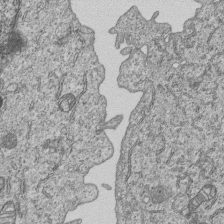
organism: Human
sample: MDA-MB-231 cells